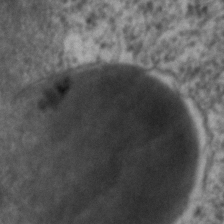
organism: C. elegans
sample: C. elegans embryo